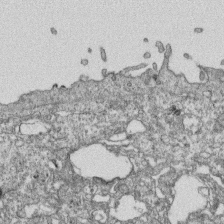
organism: Human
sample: HeLa cell HIV synapse